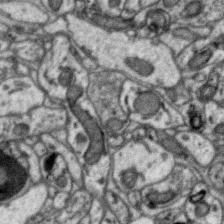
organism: Zebra finch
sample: Brain